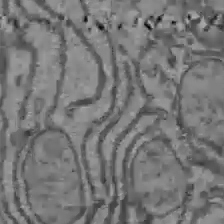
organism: C57BL Mouse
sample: Liver